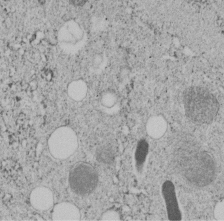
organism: C. elegans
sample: C. elegans embryo early stage